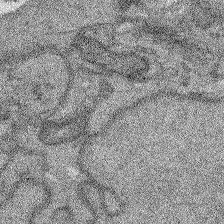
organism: Human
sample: HeLa cells